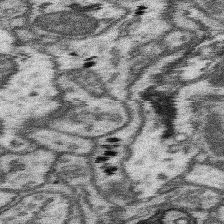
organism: Mouse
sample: Somatosensory cortex neuropil